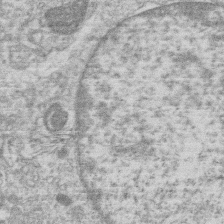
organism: Human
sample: Macrophage cells